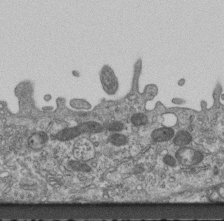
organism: Mouse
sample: Centriole in ependymal cells